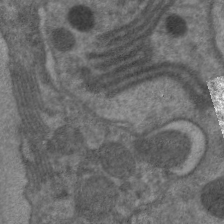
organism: C. elegans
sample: Pharynx